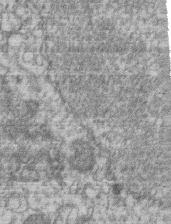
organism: Mouse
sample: T cell stromal cell synapse